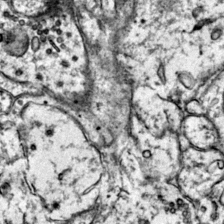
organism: Mouse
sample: Primary visual cortex